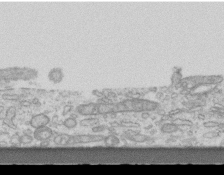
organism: Mouse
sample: Centriole in ependymal cells